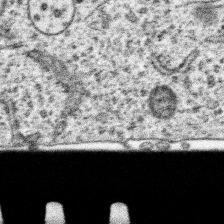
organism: Human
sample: HeLa cells